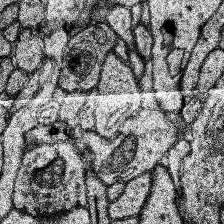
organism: Human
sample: Temporal Lobe